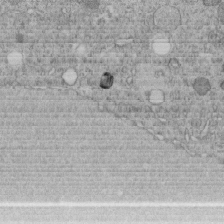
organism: C. elegans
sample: C. elegans embryo early stage